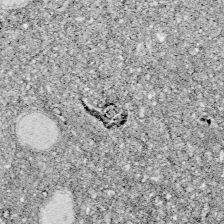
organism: Zebrafish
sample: Whole-Brain